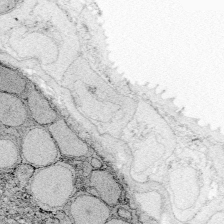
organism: Zebrafish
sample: Whole-Brain